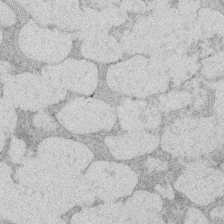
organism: Rat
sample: Salivary granule